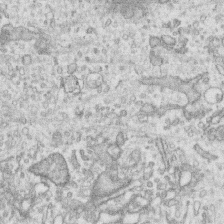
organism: Human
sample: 1205lu cells